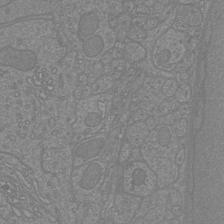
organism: Mouse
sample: Cortical neurons